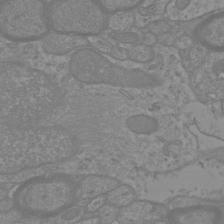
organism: Mouse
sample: Cortical neurons